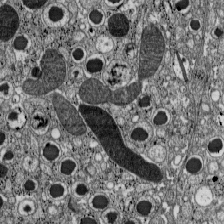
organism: C57BL Mouse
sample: Pancreatic islet